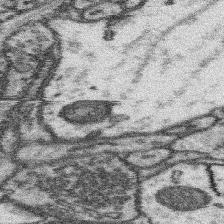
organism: Mouse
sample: Somatosensory cortex neuropil